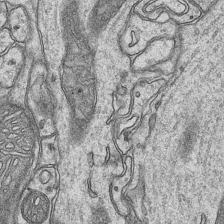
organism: Mouse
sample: CA1 Hippocampus